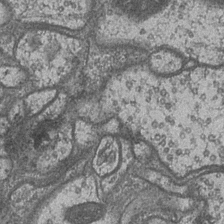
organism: Drosophila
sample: Optic medulla